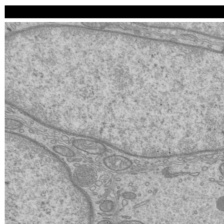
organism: Mouse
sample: Cilia; mouse epididymis